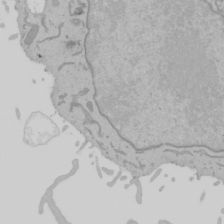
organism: Mouse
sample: Cancer cell death in ED-1 cells